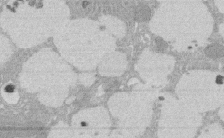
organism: Rat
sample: Salivary granule